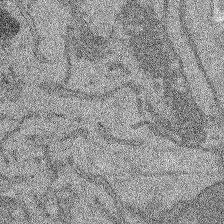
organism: Human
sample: HeLa cells